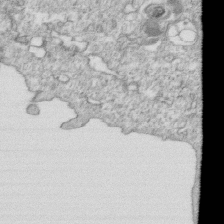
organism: Mouse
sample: Activated OT-1 CD8+ T cells